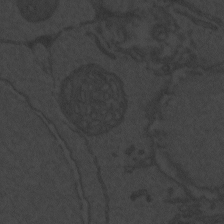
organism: Zebrafish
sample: Macrophage infected with Toxoplasma gondii